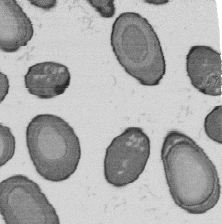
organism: B. subtilis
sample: Bacterial spore